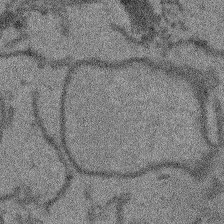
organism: Arabidopsis thaliana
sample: Root tip